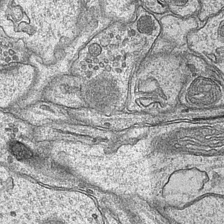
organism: Mouse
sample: CA1 Hippocampus